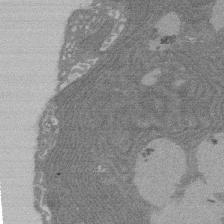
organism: Rat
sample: Salivary granule